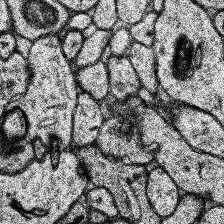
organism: Human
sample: Temporal Lobe